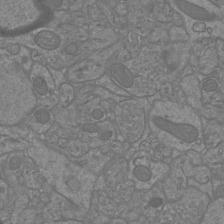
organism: Mouse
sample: Cortical neurons